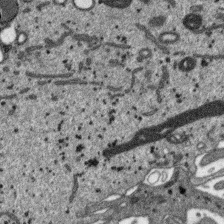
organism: Human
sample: Lung epithelial cells infected with SARS-CoV-2